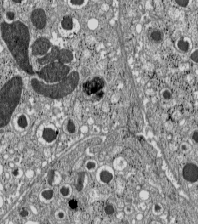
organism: C57BL Mouse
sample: Pancreatic islet